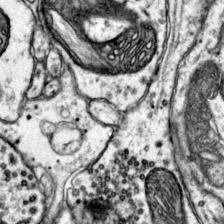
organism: Mouse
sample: Primary visual cortex